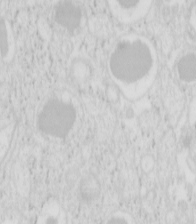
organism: Mouse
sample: Pancreas